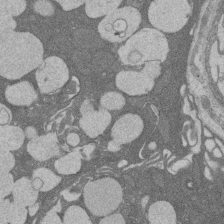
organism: Rat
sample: Salivary granule